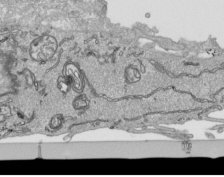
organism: Human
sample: Mitochondria in HCT116 cells